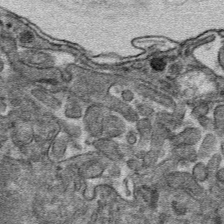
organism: Mouse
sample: Mouse hepatocytes